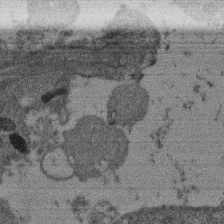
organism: Mouse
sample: Dividing mouse embryo 1 cell stage